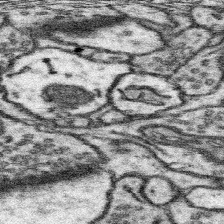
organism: Mouse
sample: Somatosensory cortex neuropil